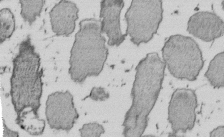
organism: E. coli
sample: Bacterial nucleoid